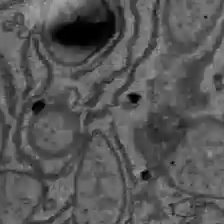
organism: C57BL Mouse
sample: Liver